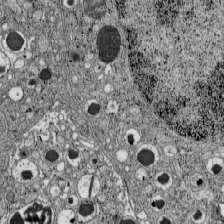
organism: C57BL Mouse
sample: Pancreatic islet